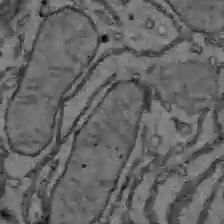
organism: C57BL Mouse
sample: Liver